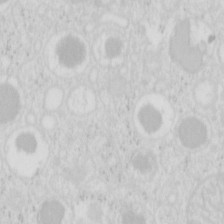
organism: Mouse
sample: Pancreas